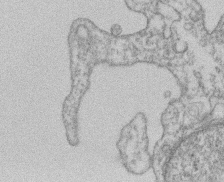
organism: Mouse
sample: T cell stromal cell synapse